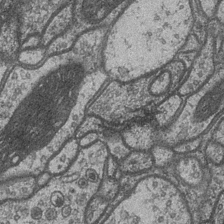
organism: Drosophila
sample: Optic medulla